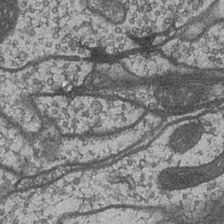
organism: Drosophila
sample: Optic medulla